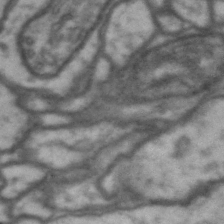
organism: Drosophila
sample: Brain